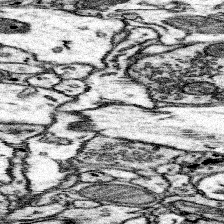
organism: Mouse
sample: Somatosensory cortex neuropil